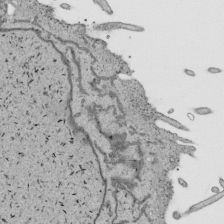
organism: Human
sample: Mitochondria in HCT116 cells